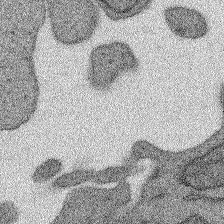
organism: Human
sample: HeLa cells